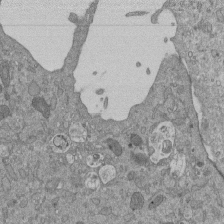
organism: Mouse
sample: ED-1 cell nuclei; centrioles